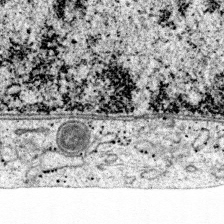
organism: Human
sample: HeLa cells